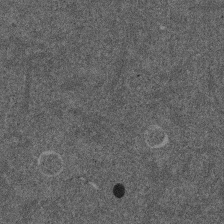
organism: Mouse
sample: Dividing mouse embryo 1 cell stage